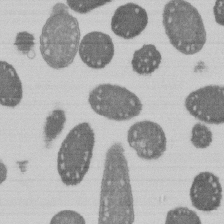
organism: E. coli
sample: Bacterial nucleoid